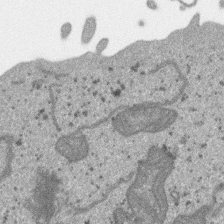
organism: Human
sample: Lung epithelial cells infected with SARS-CoV-2